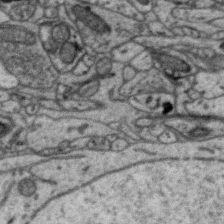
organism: Zebra finch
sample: Brain